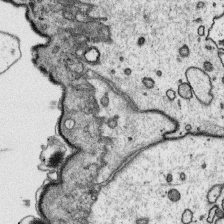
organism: Platynereis dumerilii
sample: Parapodia